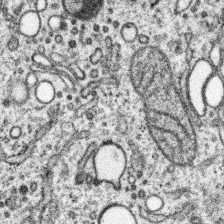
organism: Human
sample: HeLa cells